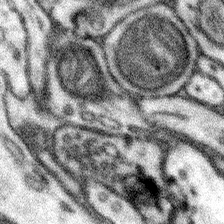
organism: Mouse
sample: Somatosensory cortex neuropil